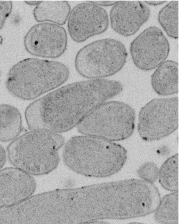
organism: E. coli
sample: Bacterial nucleoid